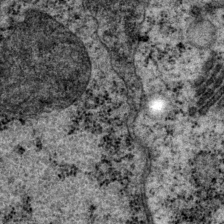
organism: P. pacificus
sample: Pharynx